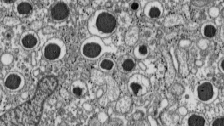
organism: C57BL Mouse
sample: Pancreatic islet